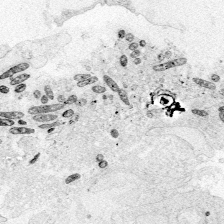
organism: Zebrafish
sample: Whole-Brain